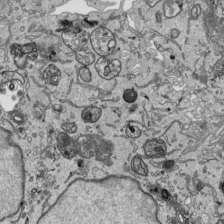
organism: Human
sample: Mitochondria in HCT116 cells